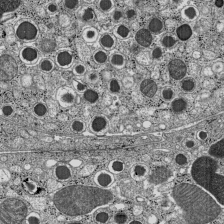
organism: C57BL Mouse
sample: Pancreatic islet